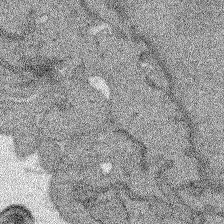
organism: Human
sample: HeLa cells